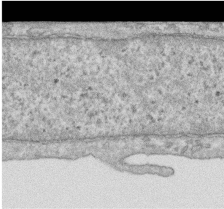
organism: Human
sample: Centriole in RPE cells